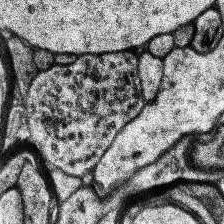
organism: Human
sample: Temporal Lobe